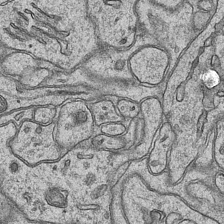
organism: Mouse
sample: CA1 Hippocampus